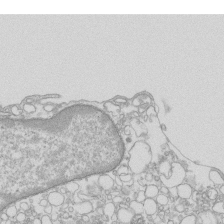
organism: Mouse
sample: Macrophages